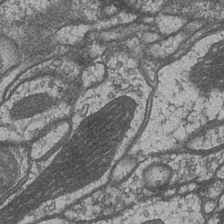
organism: Drosophila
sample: Optic medulla